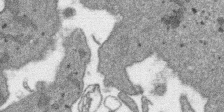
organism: Human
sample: Lung epithelial cells infected with SARS-CoV-2